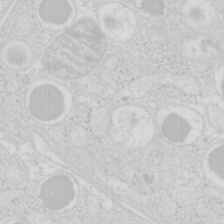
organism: Mouse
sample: Pancreas